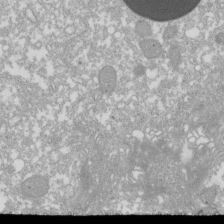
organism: Xenopus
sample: Cilia; centrioles in frog embryo cells